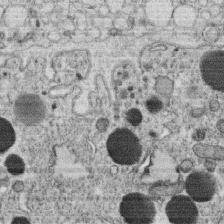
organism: C. elegans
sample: C. elegans oocyte; sperm cells